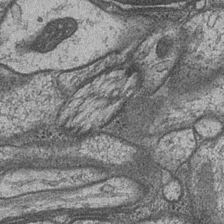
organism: Drosophila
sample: Optic medulla